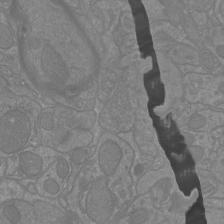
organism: Mouse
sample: Cortical neurons